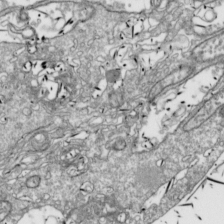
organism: Drosophila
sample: Cell division; meiosis; drosophila spermatocytes